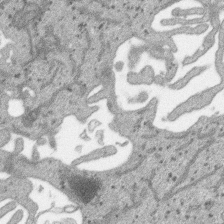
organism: Human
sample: Lung epithelial cells infected with SARS-CoV-2